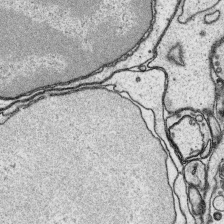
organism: Platynereis dumerilii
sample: Parapodia